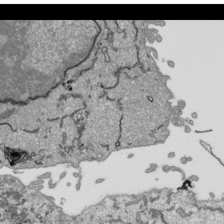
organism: Human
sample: Mitochondria in HCT116 cells